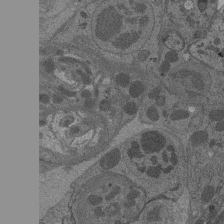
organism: Drosophila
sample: Antenna